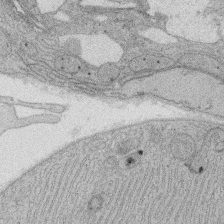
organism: Rat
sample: Salivary granule